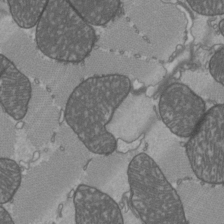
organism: C57BL Mouse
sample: Heart